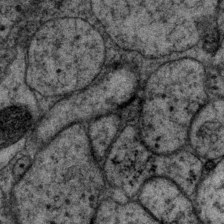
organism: P. pacificus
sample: Pharynx